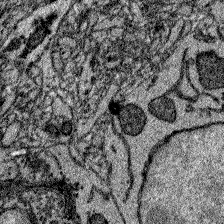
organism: Zebrafish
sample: Larval olfactory bulb